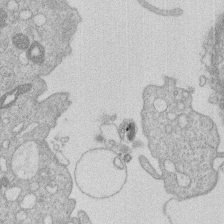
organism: Human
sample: Macrophage cells